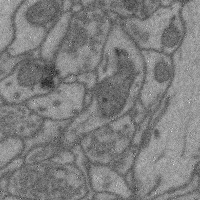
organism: Mouse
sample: Cerebral cortex